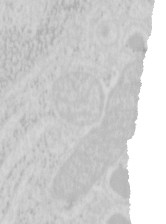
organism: Mouse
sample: Pancreas